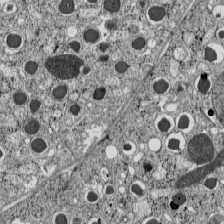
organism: C57BL Mouse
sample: Pancreatic islet